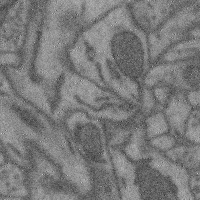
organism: Mouse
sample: Cerebral cortex